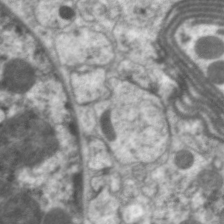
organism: C. elegans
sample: Pharynx